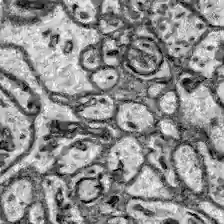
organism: Zebrafish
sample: Brain